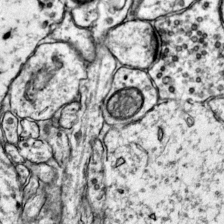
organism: Mouse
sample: Primary visual cortex